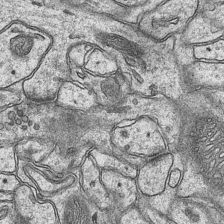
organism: Mouse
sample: CA1 Hippocampus